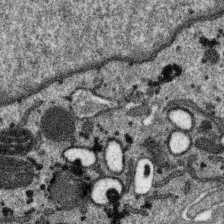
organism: Human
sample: Lung epithelial cells infected with SARS-CoV-2